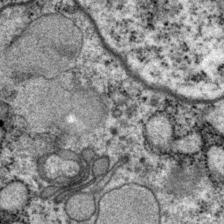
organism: P. pacificus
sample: Pharynx